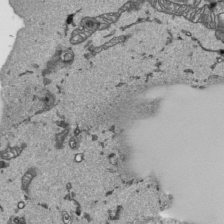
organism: Human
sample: Mitochondria in HCT116 cells